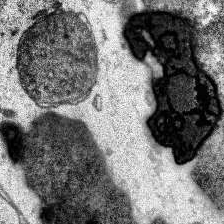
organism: Human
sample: Temporal Lobe